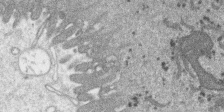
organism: Human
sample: Lung epithelial cells infected with SARS-CoV-2